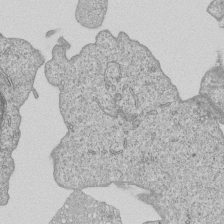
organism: Human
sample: MDA-MB-231 cells